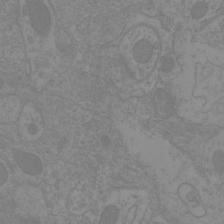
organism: Mouse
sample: Cortical neurons